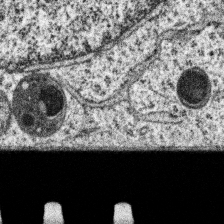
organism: Human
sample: HeLa cells